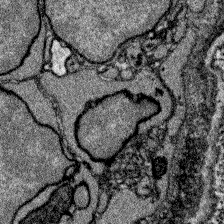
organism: Zebrafish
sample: Larval olfactory bulb